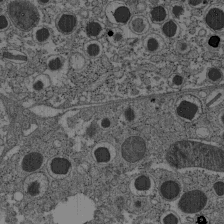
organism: C57BL Mouse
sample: Pancreatic islet